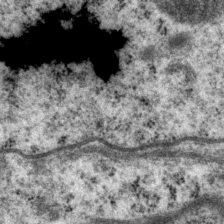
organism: P. pacificus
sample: Pharynx